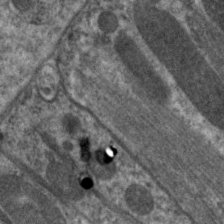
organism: C. elegans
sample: Pharynx